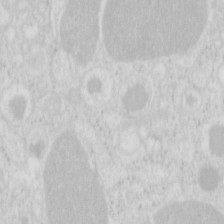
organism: Mouse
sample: Pancreas